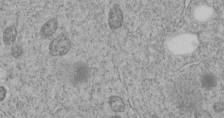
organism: C. elegans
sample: C. elegans embryo early stage